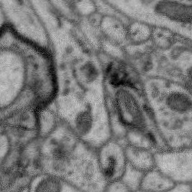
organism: Zebra finch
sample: Brain